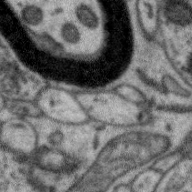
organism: Zebra finch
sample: Brain